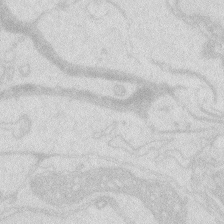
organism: Zebrafish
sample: Macrophage